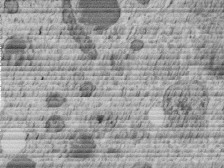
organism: C. elegans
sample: C. elegans embryo early stage